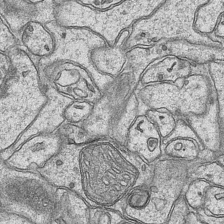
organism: Mouse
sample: CA1 Hippocampus